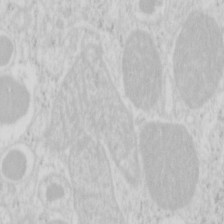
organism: Mouse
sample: Pancreas